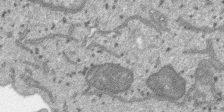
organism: Human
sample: Lung epithelial cells infected with SARS-CoV-2